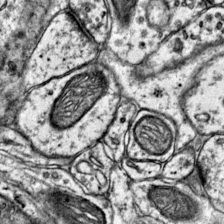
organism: Mouse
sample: Primary visual cortex